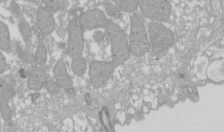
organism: Xenopus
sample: Cilia; centrioles in frog embryo cells